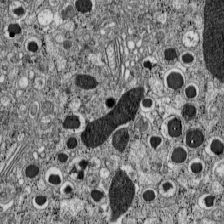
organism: C57BL Mouse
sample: Pancreatic islet